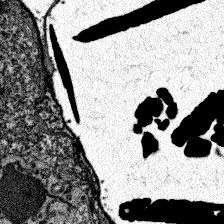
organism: Zebrafish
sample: Larval olfactory bulb